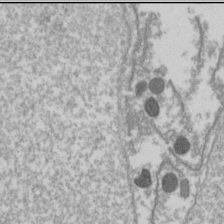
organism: Drosophila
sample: Cell division; meiosis; drosophila spermatocytes